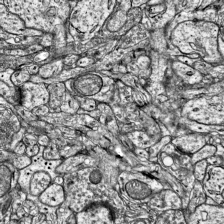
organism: Mouse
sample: Visual Cortex